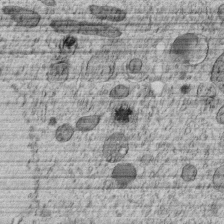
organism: C. elegans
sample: C. elegans embryo early stage